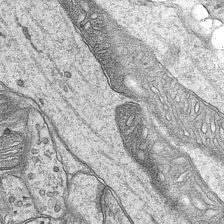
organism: Mouse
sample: CA1 Hippocampus